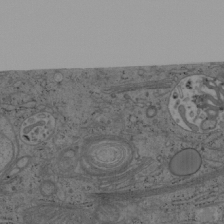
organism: Human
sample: HeLa cells